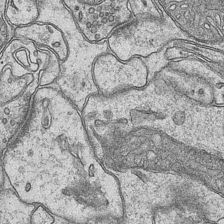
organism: Mouse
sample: CA1 Hippocampus